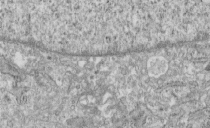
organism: Human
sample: Centriole in fibroblast cells